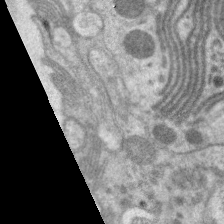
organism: C. elegans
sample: Pharynx